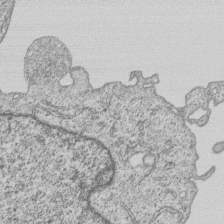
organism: Human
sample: MDA-MB-231 cells